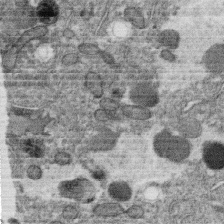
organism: C. elegans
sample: C. elegans oocyte; sperm cells